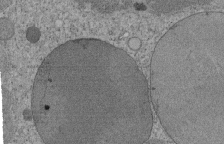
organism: Tetrahymena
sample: Cilia in tetrahymena